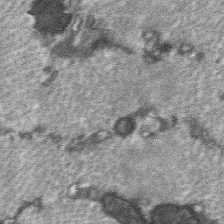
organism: C57BL Mouse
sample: Soleus